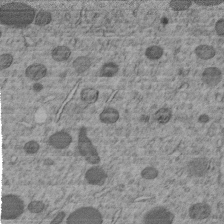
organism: C. elegans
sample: C. elegans embryo early stage